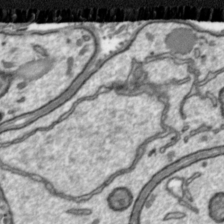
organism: Toxoplasma gondii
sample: Parasites in a vacuole inside a host cell